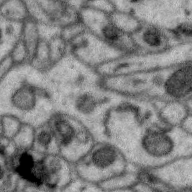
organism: Zebra finch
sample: Brain